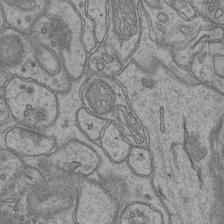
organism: Mouse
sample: CA1 Hippocampus